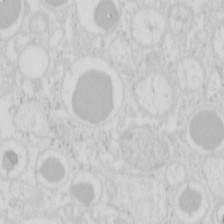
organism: Mouse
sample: Pancreas